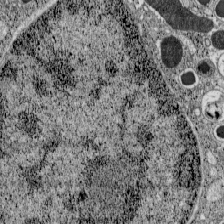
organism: C57BL Mouse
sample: Pancreatic islet